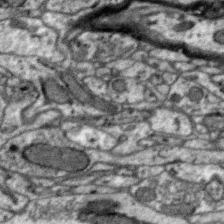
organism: Zebra finch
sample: Brain